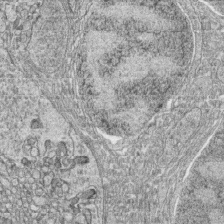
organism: Zebrafish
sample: synaptic ribbons in rod cells and cone cells